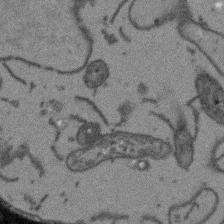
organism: Arabidopsis thaliana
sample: Root tip